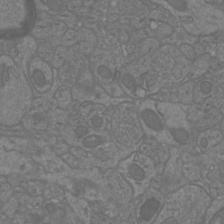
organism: Mouse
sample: Cortical neurons